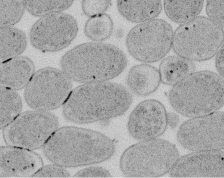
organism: E. coli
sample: Bacterial nucleoid